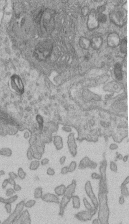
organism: Human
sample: Retinal organoid Rod and Cone cells